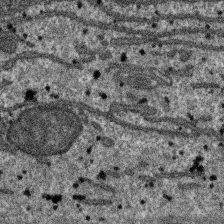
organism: Human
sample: Lung epithelial cells infected with SARS-CoV-2